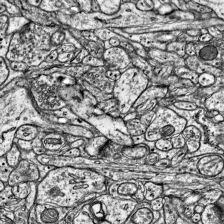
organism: Mouse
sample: Visual Cortex